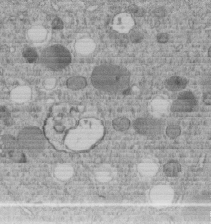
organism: C. elegans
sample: C. elegans embryo early stage